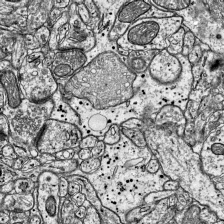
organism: Mouse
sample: Visual Cortex